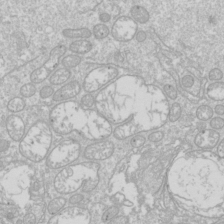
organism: Drosophila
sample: Cell division; meiosis; drosophila spermatocytes